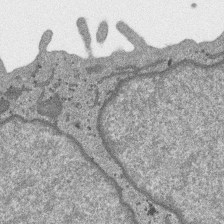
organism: Human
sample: Lung epithelial cells infected with SARS-CoV-2